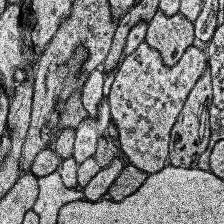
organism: Human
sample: Temporal Lobe